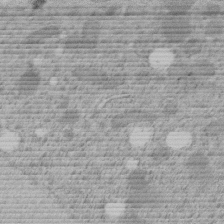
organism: C. elegans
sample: C. elegans embryo early stage